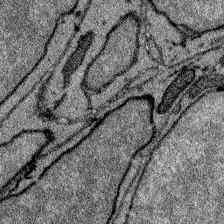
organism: Zebrafish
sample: Larval olfactory bulb